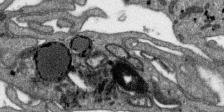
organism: Human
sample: Lung epithelial cells, uninfected (mock) control